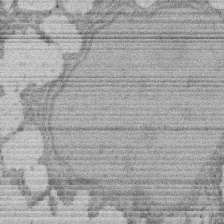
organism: Rat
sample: Salivary granule